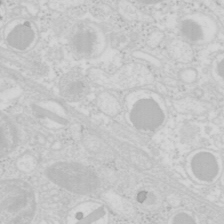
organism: Mouse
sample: Pancreas